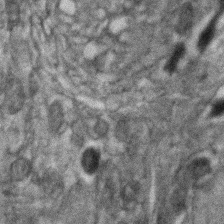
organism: Zebrafish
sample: Zebrafish embryo